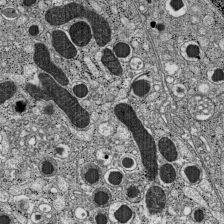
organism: C57BL Mouse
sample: Pancreatic islet